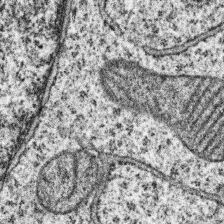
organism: Human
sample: HeLa cells